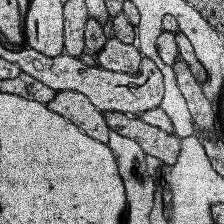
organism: Human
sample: Temporal Lobe